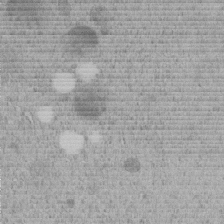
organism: C. elegans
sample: C. elegans embryo early stage